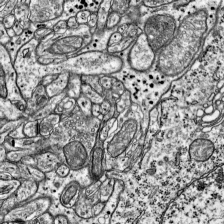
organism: Mouse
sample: Visual Cortex